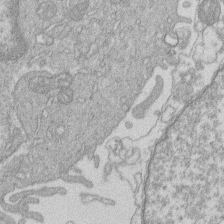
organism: Human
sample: Macrophage cells